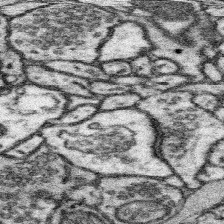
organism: Mouse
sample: Somatosensory cortex neuropil